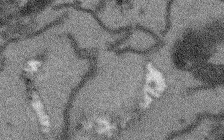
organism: Arabidopsis thaliana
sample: Root tip